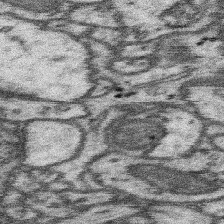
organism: Mouse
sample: Somatosensory cortex neuropil